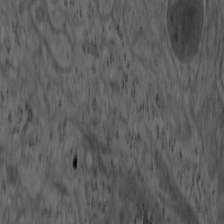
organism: Human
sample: HeLa cells